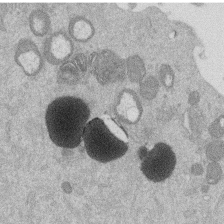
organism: Mouse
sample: Dividing mouse embryo 1 cell stage